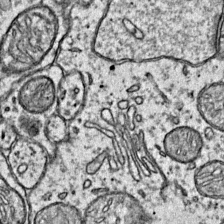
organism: Mouse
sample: Primary visual cortex